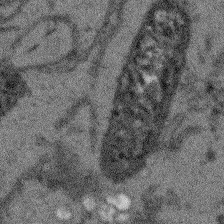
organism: Arabidopsis thaliana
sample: Root tip